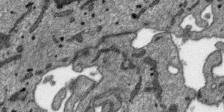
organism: Human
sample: Lung epithelial cells, uninfected (mock) control